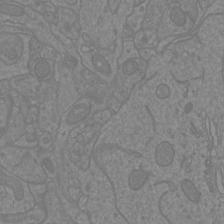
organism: Mouse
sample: Cortical neurons